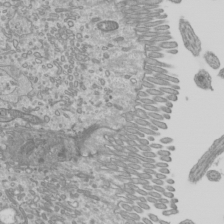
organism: Mouse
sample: Cilia; mouse epididymis